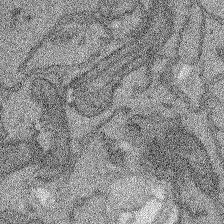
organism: Human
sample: HeLa cells